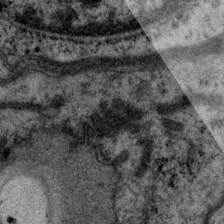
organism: P. pacificus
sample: Pharynx